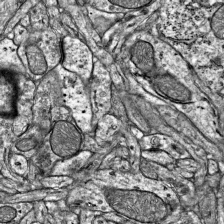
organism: Mouse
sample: Visual Cortex